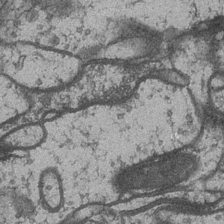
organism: Drosophila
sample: Optic medulla